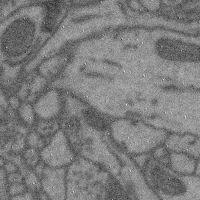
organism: Mouse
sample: Cerebral cortex